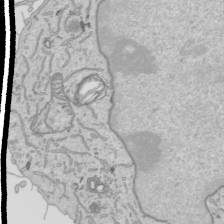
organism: Human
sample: Mitochondria in HCT116 cells